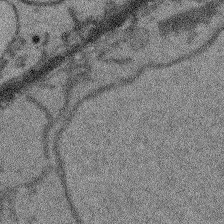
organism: Arabidopsis thaliana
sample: Root tip